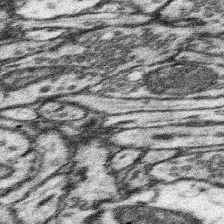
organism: Mouse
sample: Somatosensory cortex neuropil